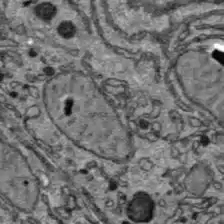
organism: C57BL Mouse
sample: Liver